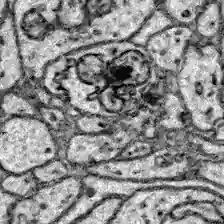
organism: Zebrafish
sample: Brain